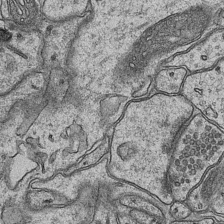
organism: Mouse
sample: CA1 Hippocampus